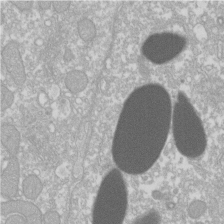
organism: Xenopus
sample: Cilia; centrioles in frog embryo cells